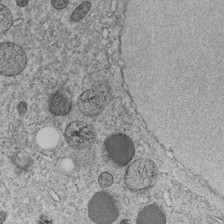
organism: C. elegans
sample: C. elegans embryo early stage